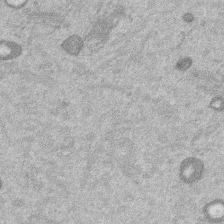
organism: Mouse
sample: Dividing mouse embryo 1 cell stage